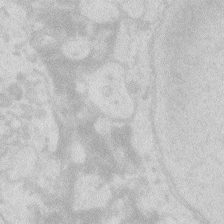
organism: Zebrafish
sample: Macrophage